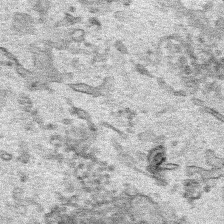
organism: Human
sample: Mitochondria in HCT116 cells